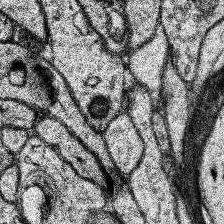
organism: Human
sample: Temporal Lobe